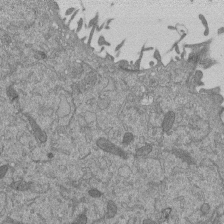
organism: Mouse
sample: ED-1 cell nuclei; centrioles